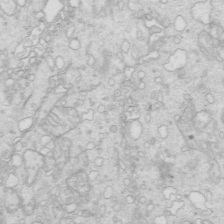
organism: Mouse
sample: Multiciliated cells